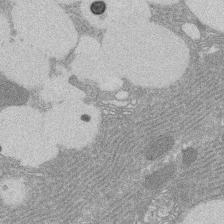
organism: Rat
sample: Salivary granule